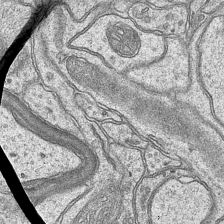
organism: Mouse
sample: CA1 Hippocampus